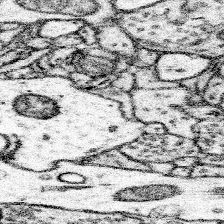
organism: Mouse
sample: Somatosensory cortex neuropil